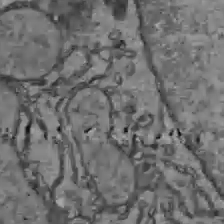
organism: C57BL Mouse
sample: Liver